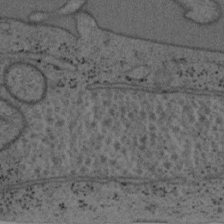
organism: Human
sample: HeLa cells